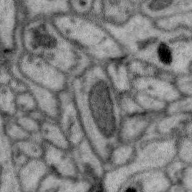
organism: Zebra finch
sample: Brain